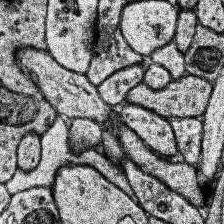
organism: Human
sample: Temporal Lobe